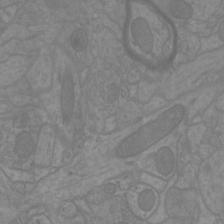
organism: Mouse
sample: Cortical neurons